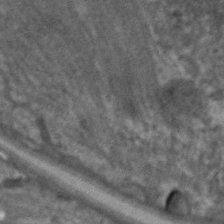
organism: C. elegans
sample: Pharynx